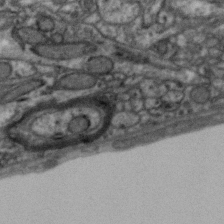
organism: Zebra finch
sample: Brain